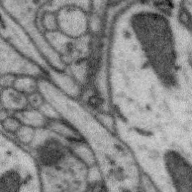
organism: Zebra finch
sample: Brain